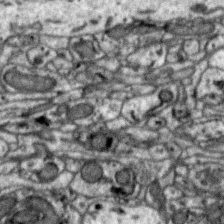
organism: Zebra finch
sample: Brain